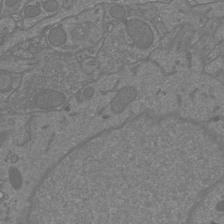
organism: Mouse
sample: Cortical neurons